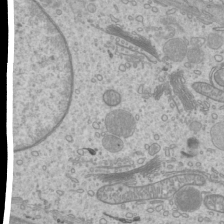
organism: Mouse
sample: Cilia; mouse epididymis